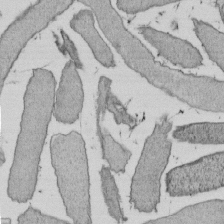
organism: E. coli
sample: Bacterial nucleoid